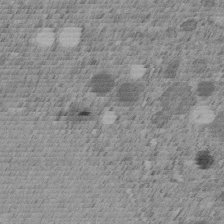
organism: C. elegans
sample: C. elegans embryo early stage